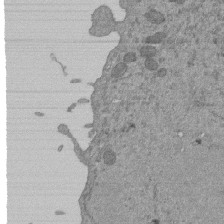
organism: Mouse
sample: ED-1 cell nuclei; centrioles